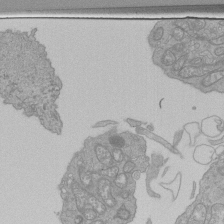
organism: Human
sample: Retinal organoid Rod and Cone cells